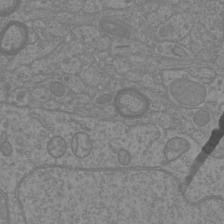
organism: Mouse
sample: Cortical neurons